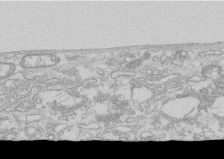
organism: Human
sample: CRL-1474